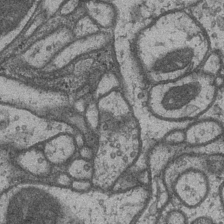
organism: Drosophila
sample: Optic medulla